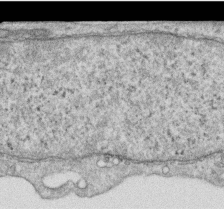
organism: Human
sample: Centriole in RPE cells